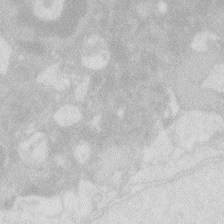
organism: Zebrafish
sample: Macrophage